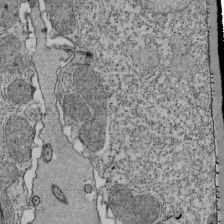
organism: Tetrahymena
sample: Cilia in tetrahymena